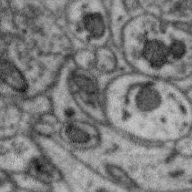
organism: Zebra finch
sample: Brain